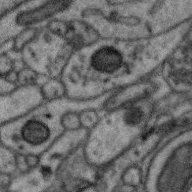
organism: Zebra finch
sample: Brain